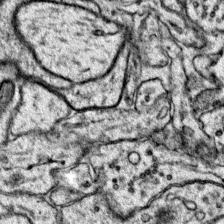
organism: Mouse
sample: Primary visual cortex